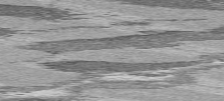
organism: C57BL Mouse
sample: Heart